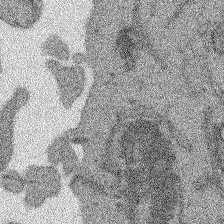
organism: Human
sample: HeLa cells